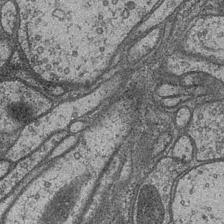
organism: Drosophila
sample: Optic medulla